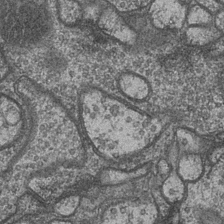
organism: Drosophila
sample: Optic medulla